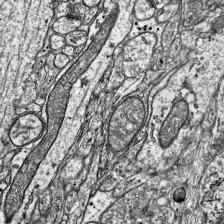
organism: Mouse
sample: Visual Cortex